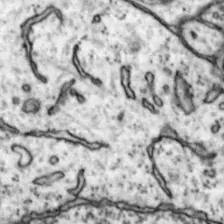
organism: Mouse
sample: Nucleus accumbens